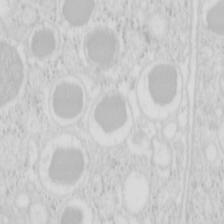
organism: Mouse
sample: Pancreas